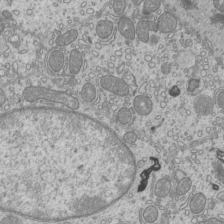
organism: Mouse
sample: Cilia; mouse epididymis